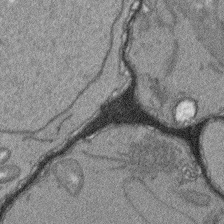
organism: Arabidopsis thaliana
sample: Root tip